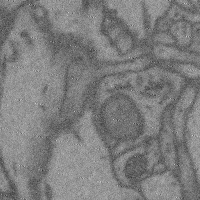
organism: Mouse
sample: Cerebral cortex